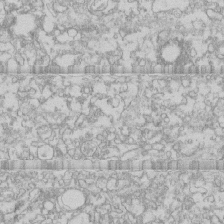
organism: Human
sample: CRL-1474